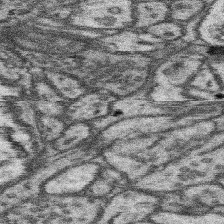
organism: Mouse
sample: Somatosensory cortex neuropil